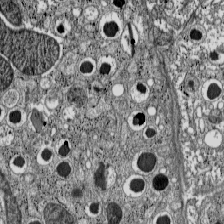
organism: C57BL Mouse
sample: Pancreatic islet